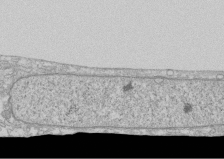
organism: Human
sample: CRL-1474